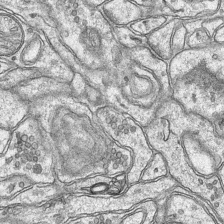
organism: Mouse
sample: CA1 Hippocampus